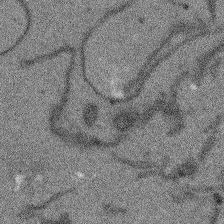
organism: Arabidopsis thaliana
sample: Root tip